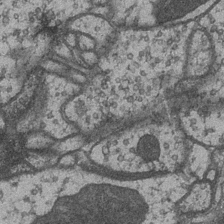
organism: Drosophila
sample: Optic medulla